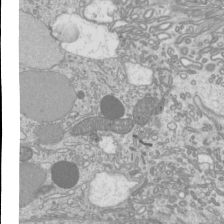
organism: Mouse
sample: Cilia; mouse epididymis